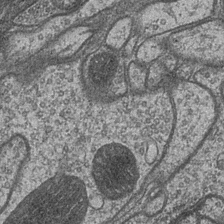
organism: Drosophila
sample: Optic medulla